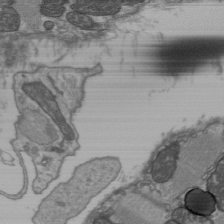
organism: C57BL Mouse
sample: Heart